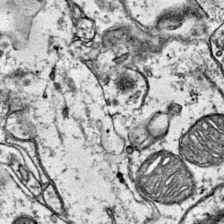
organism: Mouse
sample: Primary visual cortex